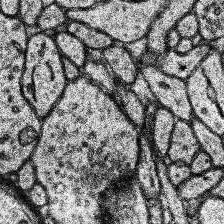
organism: Human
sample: Temporal Lobe